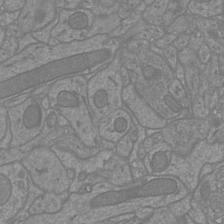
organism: Mouse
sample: Cortical neurons